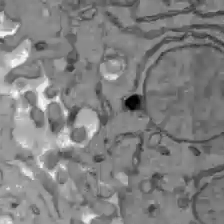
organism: C57BL Mouse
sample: Liver